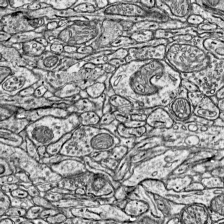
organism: Mouse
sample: Visual Cortex